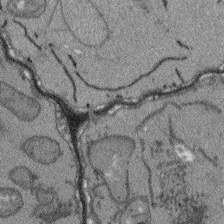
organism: Arabidopsis thaliana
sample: Root tip